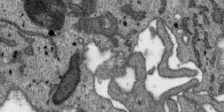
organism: Human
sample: Lung epithelial cells, uninfected (mock) control